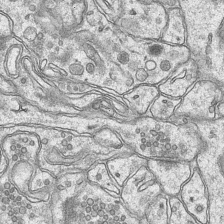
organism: Mouse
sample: CA1 Hippocampus